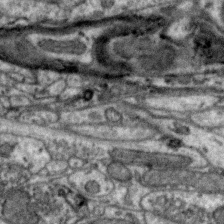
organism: Zebra finch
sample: Brain